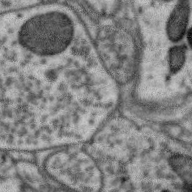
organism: Zebra finch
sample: Brain